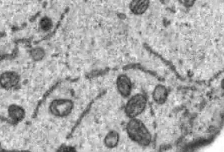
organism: Human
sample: HeLa cells